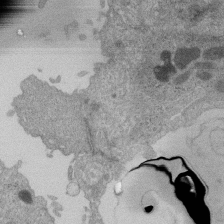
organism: Human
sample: Retinal organoid Rod and Cone cells